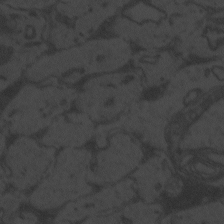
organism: Zebrafish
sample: Macrophage infected with Toxoplasma gondii